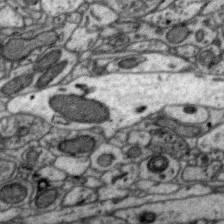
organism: Zebra finch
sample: Brain